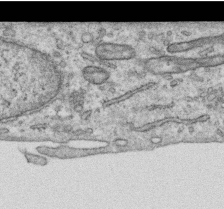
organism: Human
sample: Centriole in RPE cells